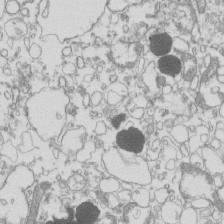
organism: Mouse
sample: Macrophages